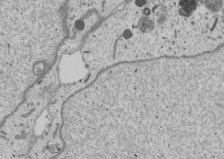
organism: Human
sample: Mitochondria in U2OS cells